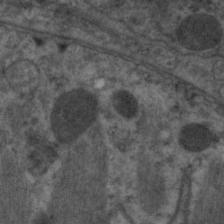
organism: C. elegans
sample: Pharynx